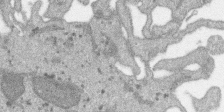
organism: Human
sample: Lung epithelial cells infected with SARS-CoV-2